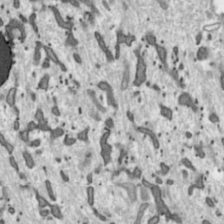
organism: Toxoplasma gondii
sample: Parasites in a vacuole inside a host cell